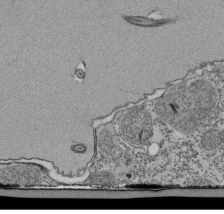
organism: Tetrahymena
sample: Cilia in tetrahymena